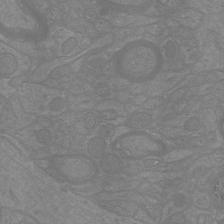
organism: Mouse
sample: Cortical neurons